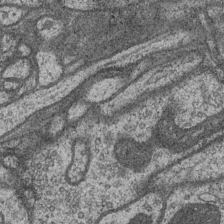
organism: Drosophila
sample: Optic medulla